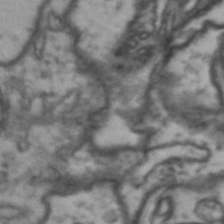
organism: Drosophila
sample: Brain